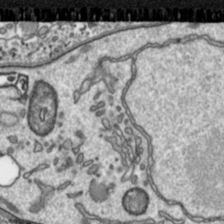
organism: Toxoplasma gondii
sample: Parasites in a vacuole inside a host cell